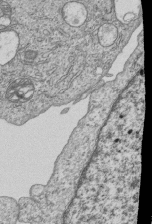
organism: Human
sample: MDA-MB-231 cells